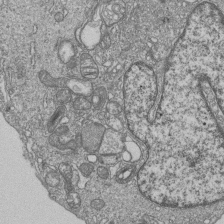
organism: Human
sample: MDA-MB-231 cells